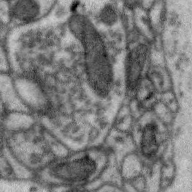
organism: Zebra finch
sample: Brain